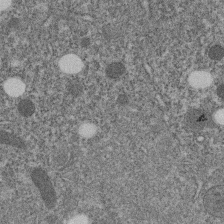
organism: C. elegans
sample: C. elegans embryo early stage